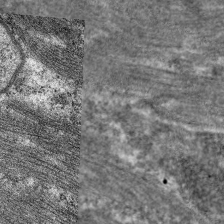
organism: C. elegans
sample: Pharynx